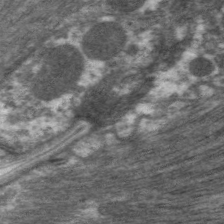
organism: C. elegans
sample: Pharynx